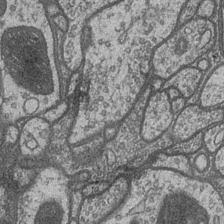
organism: Drosophila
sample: Optic medulla